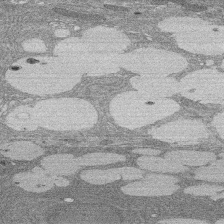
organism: Rat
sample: Salivary granule